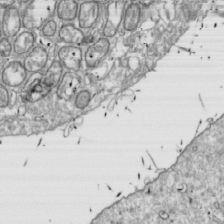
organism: Drosophila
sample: Cell division; meiosis; drosophila spermatocytes